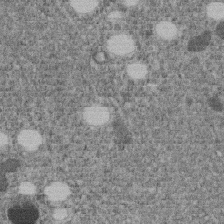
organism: C. elegans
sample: C. elegans embryo early stage